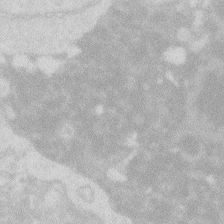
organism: Zebrafish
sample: Macrophage